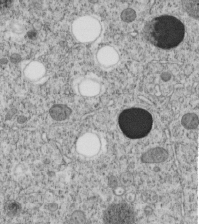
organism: C. elegans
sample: C. elegans embryo early stage